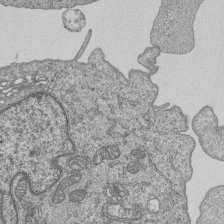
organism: Human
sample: MDA-MB-231 cells